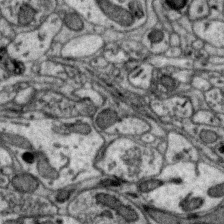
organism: Zebra finch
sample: Brain